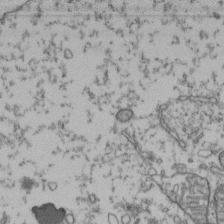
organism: Human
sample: Activated Jurkat CD4+ T cells